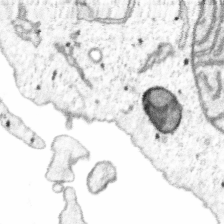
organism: Human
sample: HeLa cells